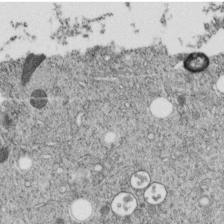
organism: C. elegans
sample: C. elegans embryo early stage